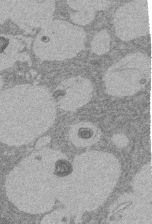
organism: Rat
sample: Salivary granule